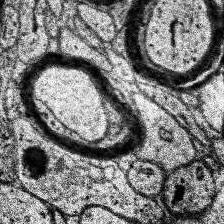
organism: Human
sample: Temporal Lobe